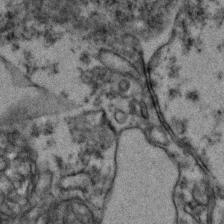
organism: Zebrafish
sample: Zebrafish embryo